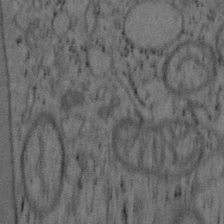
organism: Human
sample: HeLa cells